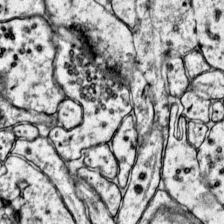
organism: Mouse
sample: Primary visual cortex